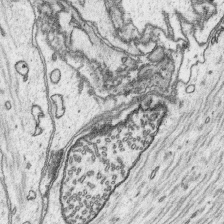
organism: Platynereis dumerilii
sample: Parapodia